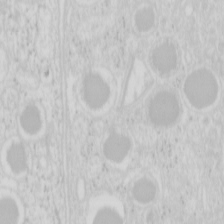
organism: Mouse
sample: Pancreas